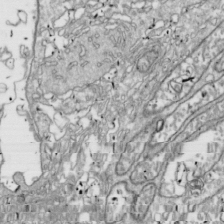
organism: Drosophila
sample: Cell division; meiosis; drosophila spermatocytes